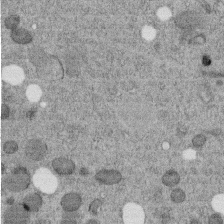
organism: C. elegans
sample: C. elegans embryo early stage